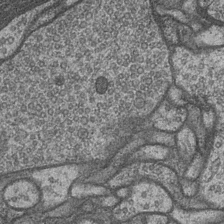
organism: Drosophila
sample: Optic medulla